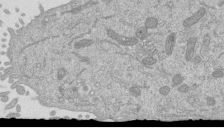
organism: Mouse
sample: ED-1 cell nuclei; centrioles